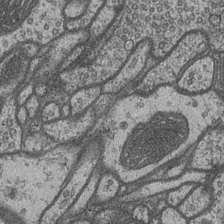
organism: Drosophila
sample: Optic medulla